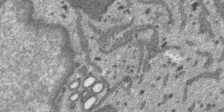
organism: Human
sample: Lung epithelial cells infected with SARS-CoV-2